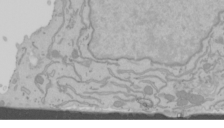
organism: Mouse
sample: Cancer cell death in ED-1 cells